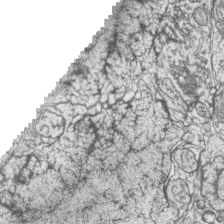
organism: Zebrafish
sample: synaptic ribbons in rod cells and cone cells